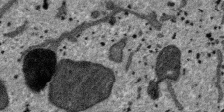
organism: Human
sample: Lung epithelial cells, uninfected (mock) control